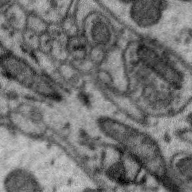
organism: Zebra finch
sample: Brain